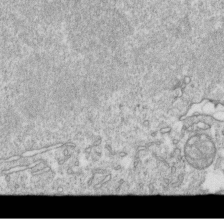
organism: Mouse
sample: Activated OT-1 CD8+ T cells